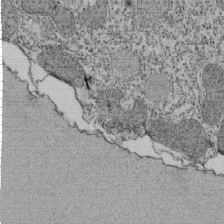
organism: Tetrahymena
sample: Cilia in tetrahymena